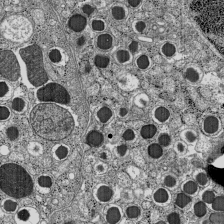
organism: C57BL Mouse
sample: Pancreatic islet